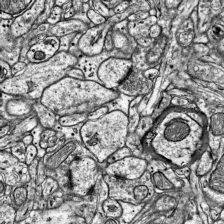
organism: Mouse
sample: Visual Cortex